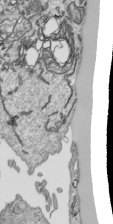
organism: Human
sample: Mitochondria in HCT116 cells